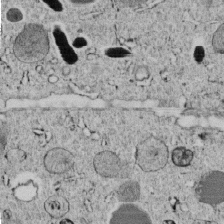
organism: C. elegans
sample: C. elegans embryo early stage